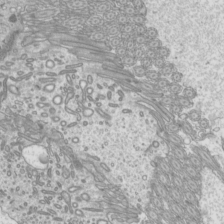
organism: Mouse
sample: Cilia; mouse epididymis